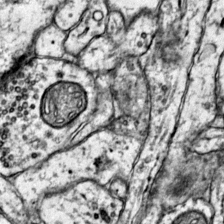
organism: Mouse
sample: Primary visual cortex